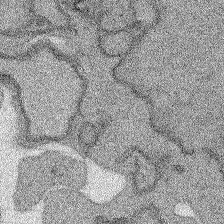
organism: Human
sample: HeLa cells